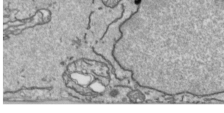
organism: Human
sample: Mitochondria in HCT116 cells